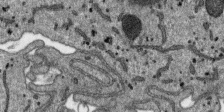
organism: Human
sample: Lung epithelial cells, uninfected (mock) control